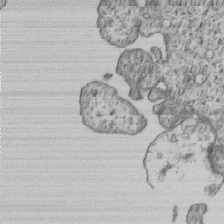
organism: Human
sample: MDA-MB-231 cells